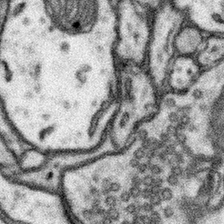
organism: Mouse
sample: Somatosensory cortex neuropil